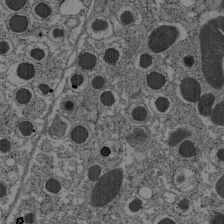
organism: C57BL Mouse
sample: Pancreatic islet